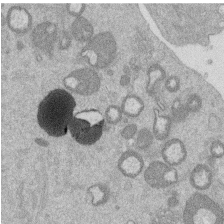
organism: Mouse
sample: Dividing mouse embryo 1 cell stage